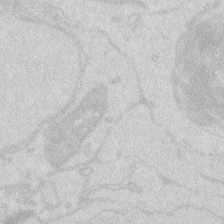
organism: Zebrafish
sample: Macrophage